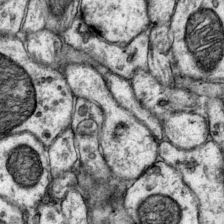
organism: Mouse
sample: Primary visual cortex